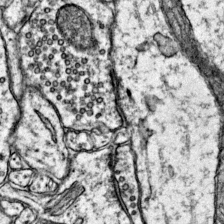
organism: Mouse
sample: Primary visual cortex